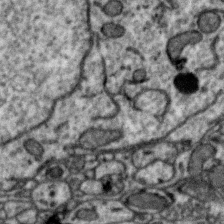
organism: Zebra finch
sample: Brain